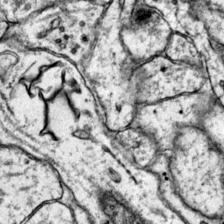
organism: Mouse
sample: Primary visual cortex